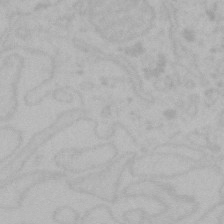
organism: Mouse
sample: Choroid plexus